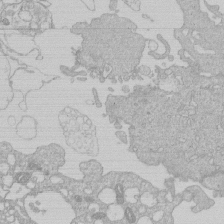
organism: Human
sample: Macrophage cells